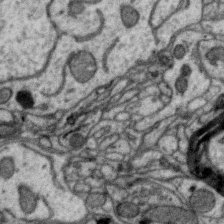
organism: Zebra finch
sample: Brain